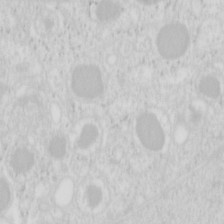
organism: Mouse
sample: Pancreas